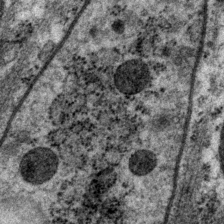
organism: P. pacificus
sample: Pharynx